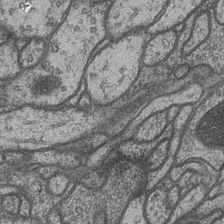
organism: Drosophila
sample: Optic medulla